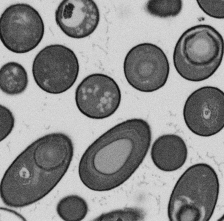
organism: B. subtilis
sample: Bacterial spore